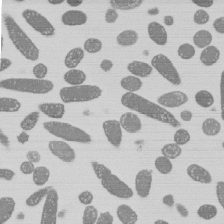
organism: E. coli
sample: Bacterial nucleoid